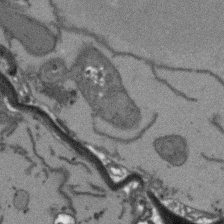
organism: Arabidopsis thaliana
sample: Root tip